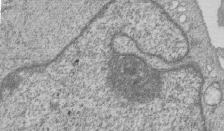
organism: Human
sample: MDA-MB-231 cells